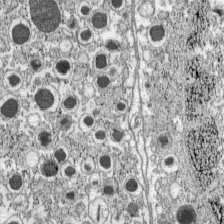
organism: C57BL Mouse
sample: Pancreatic islet